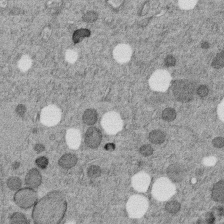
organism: C. elegans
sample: C. elegans embryo early stage